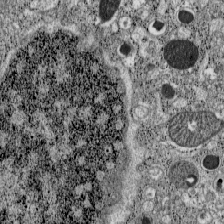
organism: C57BL Mouse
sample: Pancreatic islet